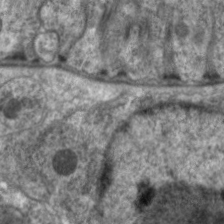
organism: C. elegans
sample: Pharynx